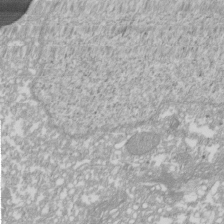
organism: Xenopus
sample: Cilia; centrioles in frog embryo cells